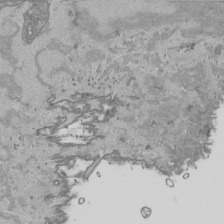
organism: Human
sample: Mitochondria in HCT116 cells